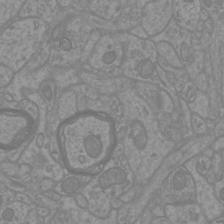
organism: Mouse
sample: Cortical neurons